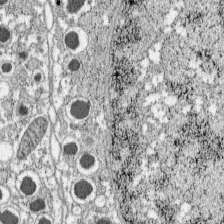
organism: C57BL Mouse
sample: Pancreatic islet